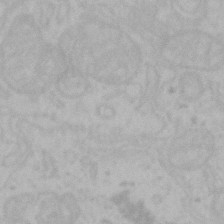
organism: Mouse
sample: Choroid plexus